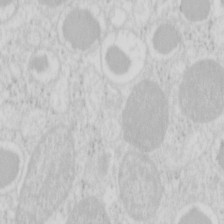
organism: Mouse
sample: Pancreas